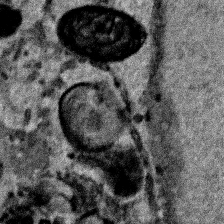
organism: Human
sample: Mitochondria in HCT116 cells